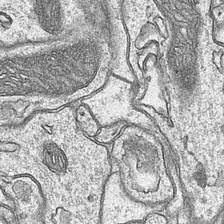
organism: Mouse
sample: CA1 Hippocampus